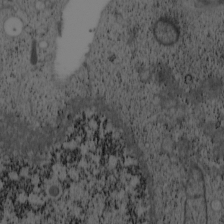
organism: African green monkey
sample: COS-7 cells